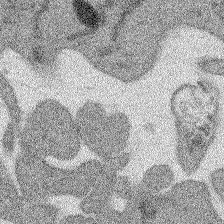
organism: Human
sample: HeLa cells